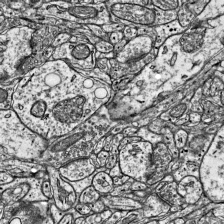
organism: Mouse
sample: Visual Cortex